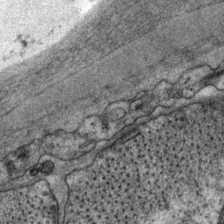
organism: P. pacificus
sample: Pharynx